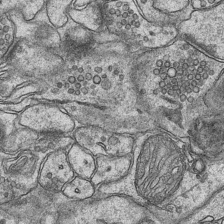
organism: Mouse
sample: CA1 Hippocampus